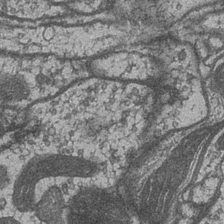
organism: Drosophila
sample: Optic medulla